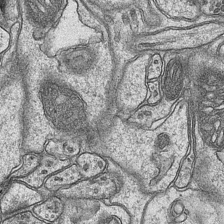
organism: Mouse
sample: CA1 Hippocampus